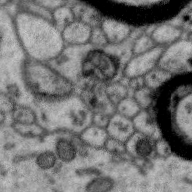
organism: Zebra finch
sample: Brain